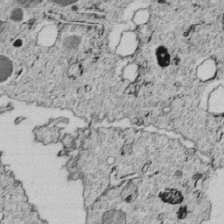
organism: C. elegans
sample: C. elegans embryo early stage